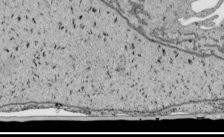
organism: Human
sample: Mitochondria in HCT116 cells